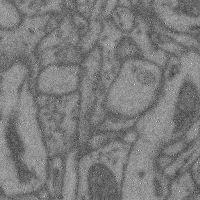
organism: Mouse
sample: Cerebral cortex